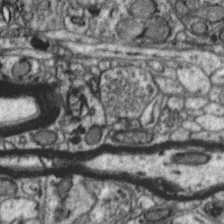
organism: Zebra finch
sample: Brain